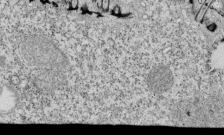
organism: Tetrahymena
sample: Cilia in tetrahymena